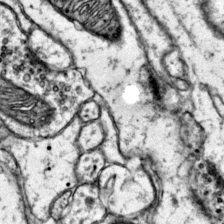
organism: Mouse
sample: Primary visual cortex